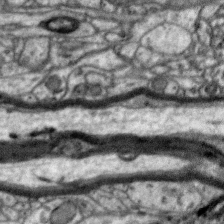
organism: Zebra finch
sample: Brain